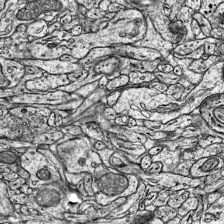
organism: Mouse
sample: Visual Cortex